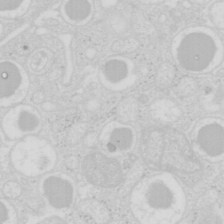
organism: Mouse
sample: Pancreas